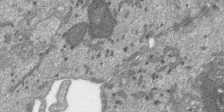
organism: Human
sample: Lung epithelial cells infected with SARS-CoV-2